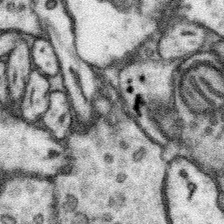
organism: Mouse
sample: Somatosensory cortex neuropil